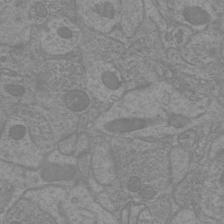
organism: Mouse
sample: Cortical neurons